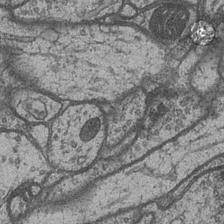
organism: Drosophila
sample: Optic medulla